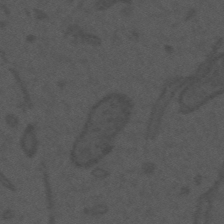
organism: Mouse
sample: Suprachiasmatic nucleus